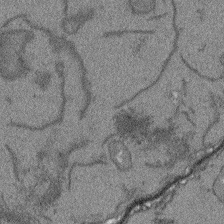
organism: Arabidopsis thaliana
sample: Root tip